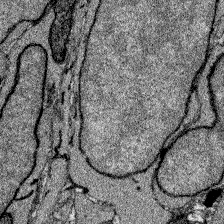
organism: Zebrafish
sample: Larval olfactory bulb